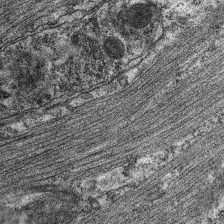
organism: C. elegans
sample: Pharynx